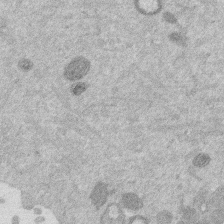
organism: Mouse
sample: Dividing mouse embryo 1 cell stage